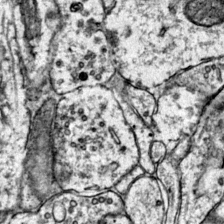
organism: Mouse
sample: Primary visual cortex